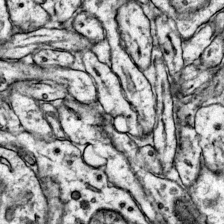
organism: Mouse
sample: Primary visual cortex